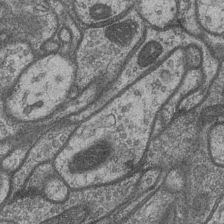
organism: Drosophila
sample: Optic medulla